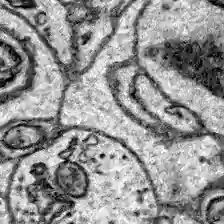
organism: Zebrafish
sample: Brain